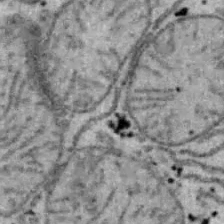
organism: Mouse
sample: Liver from an obese (ob/ob) mouse